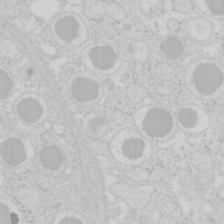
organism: Mouse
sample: Pancreas